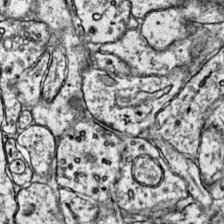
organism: Mouse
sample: Primary visual cortex